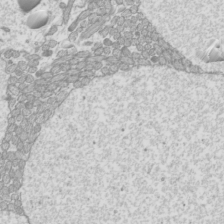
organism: Mouse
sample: Cilia; mouse epididymis